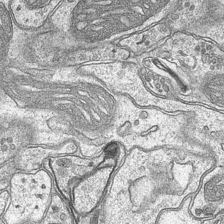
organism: Mouse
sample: CA1 Hippocampus